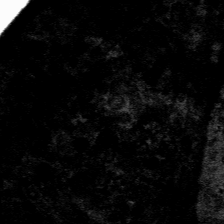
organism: Mouse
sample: Mouse hepatocytes